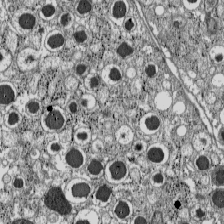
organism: C57BL Mouse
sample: Pancreatic islet